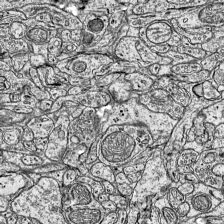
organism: Mouse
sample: Visual Cortex